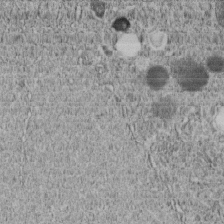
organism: C. elegans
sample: C. elegans embryo early stage